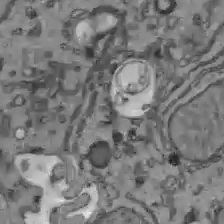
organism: C57BL Mouse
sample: Liver